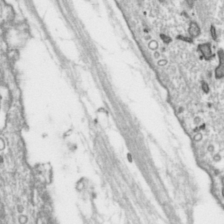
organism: Toxoplasma gondii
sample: Parasites in a vacuole inside a host cell